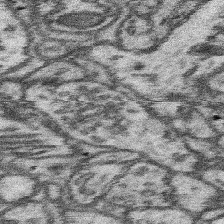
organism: Mouse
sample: Somatosensory cortex neuropil